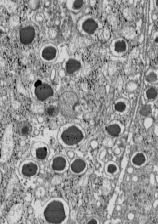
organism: C57BL Mouse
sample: Pancreatic islet